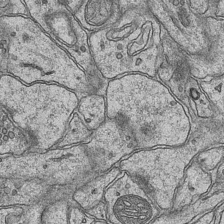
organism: Mouse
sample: CA1 Hippocampus